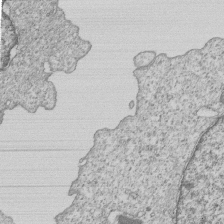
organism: Human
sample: MDA-MB-231 cells